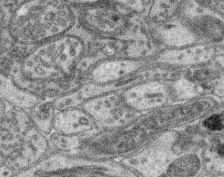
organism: Mouse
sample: Retina